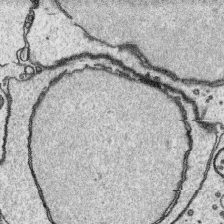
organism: Platynereis dumerilii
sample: Parapodia